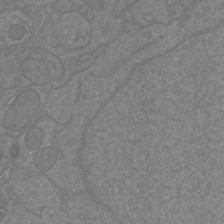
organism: Mouse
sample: Cortical neurons